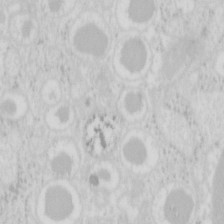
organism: Mouse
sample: Pancreas